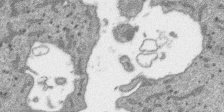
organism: Human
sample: Lung epithelial cells infected with SARS-CoV-2